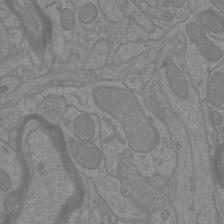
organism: Mouse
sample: Cortical neurons